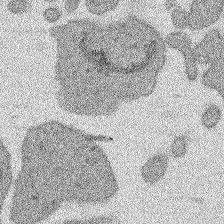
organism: Human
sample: HeLa cells